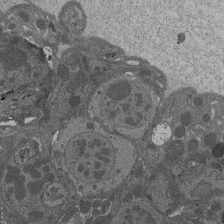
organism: Drosophila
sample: Antenna